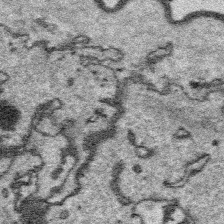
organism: Platynereis dumerilii